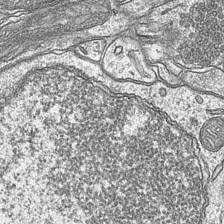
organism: Mouse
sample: CA1 Hippocampus